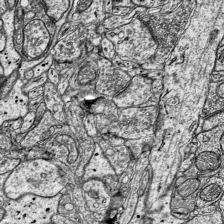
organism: Mouse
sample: Visual Cortex